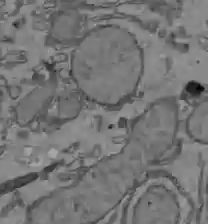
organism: C57BL Mouse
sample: Liver